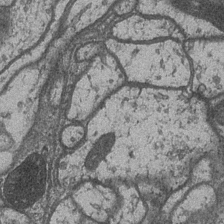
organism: Drosophila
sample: Optic medulla